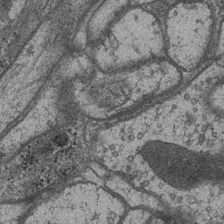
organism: Drosophila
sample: Optic medulla